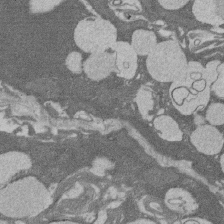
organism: Rat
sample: Salivary granule